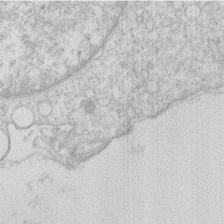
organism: Human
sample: Macrophage cells